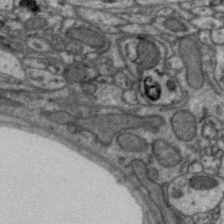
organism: Zebra finch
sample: Brain